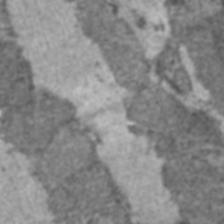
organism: C57BL Mouse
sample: Heart